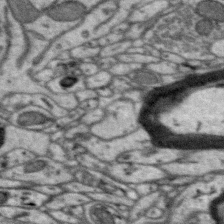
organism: Zebra finch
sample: Brain